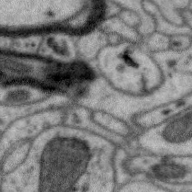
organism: Zebra finch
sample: Brain